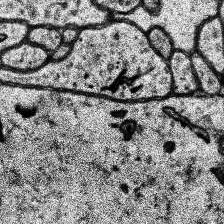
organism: Human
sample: Temporal Lobe